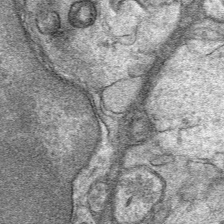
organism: Mouse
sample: Mouse Salivary gland